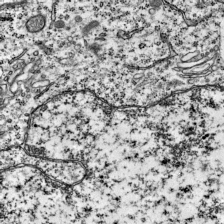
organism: Mouse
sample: Visual Cortex